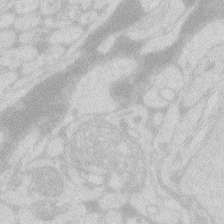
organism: Zebrafish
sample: Macrophage